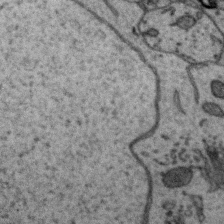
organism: Zebra finch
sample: Brain